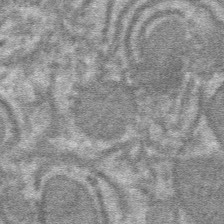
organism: Mouse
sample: Mouse hepatocytes